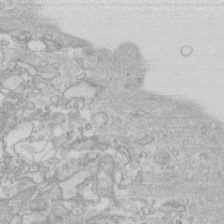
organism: Human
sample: Fibroblast cells